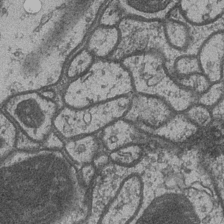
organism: Drosophila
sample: Optic medulla